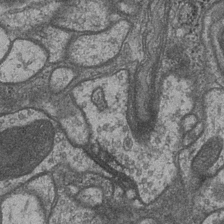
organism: Drosophila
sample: Optic medulla